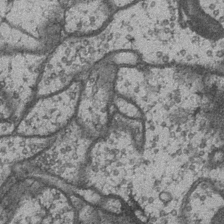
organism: Drosophila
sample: Optic medulla